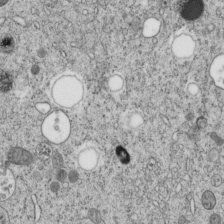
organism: C. elegans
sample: C. elegans embryo early stage